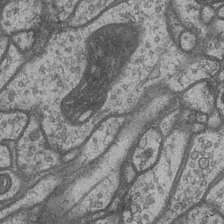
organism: Drosophila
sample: Optic medulla